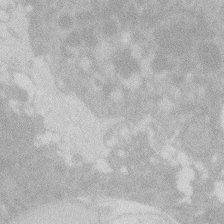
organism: Zebrafish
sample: Macrophage